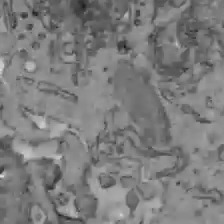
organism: C57BL Mouse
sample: Liver